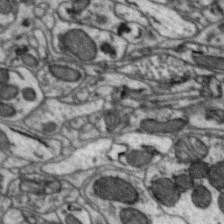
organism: Zebra finch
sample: Brain